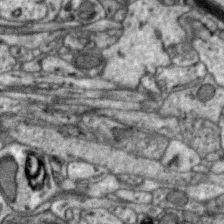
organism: Zebra finch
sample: Brain